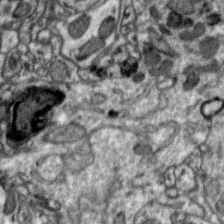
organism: Zebra finch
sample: Brain